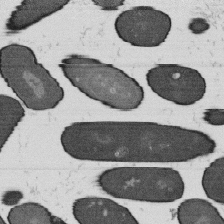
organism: B. subtilis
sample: Bacterial spore